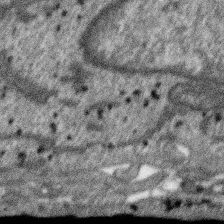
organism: Human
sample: Lung epithelial cells infected with SARS-CoV-2